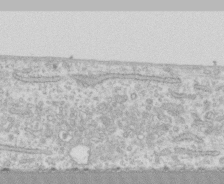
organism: Human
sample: CRL-1474